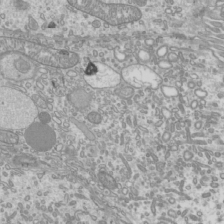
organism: Mouse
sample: Cilia; mouse epididymis